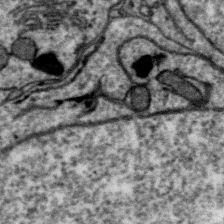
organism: Zebra finch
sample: Brain